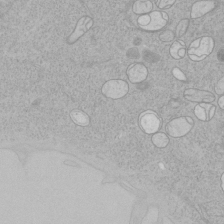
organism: Human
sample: Mitochondria in HCT116 cells